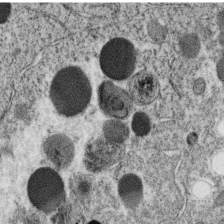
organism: C. elegans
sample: C. elegans oocyte; sperm cells